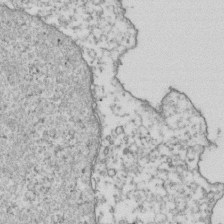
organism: Human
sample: Activated Jurkat CD4+ T cells